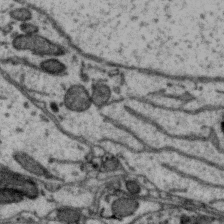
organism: Zebra finch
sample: Brain